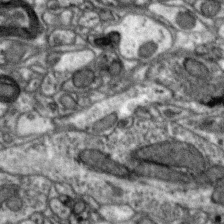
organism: Zebra finch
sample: Brain